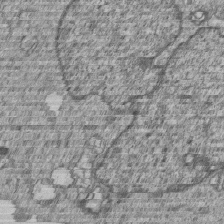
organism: Human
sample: MDA-MB-231 cells